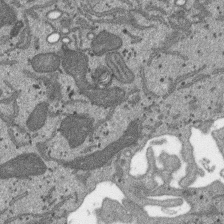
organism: Human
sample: Lung epithelial cells infected with SARS-CoV-2